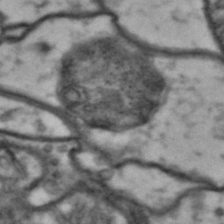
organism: Drosophila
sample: Brain